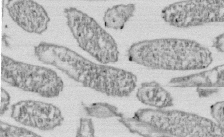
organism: E. coli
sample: Bacterial nucleoid